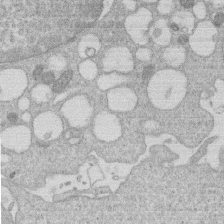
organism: Human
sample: Macrophage cells